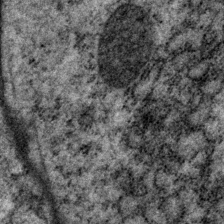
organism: P. pacificus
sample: Pharynx